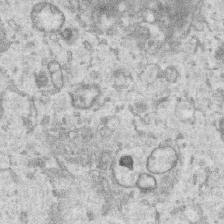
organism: Human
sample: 1205lu cells